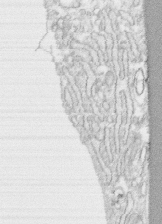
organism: Human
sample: CRL-1474